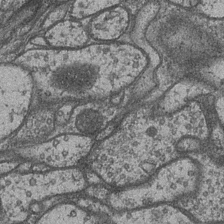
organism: Drosophila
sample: Optic medulla